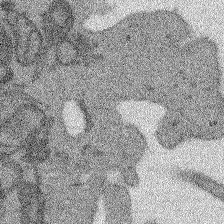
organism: Human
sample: HeLa cells